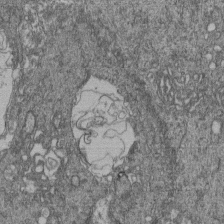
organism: Human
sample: Retinal organoid Rod and Cone cells